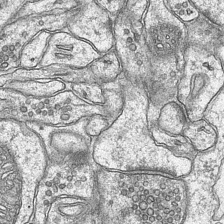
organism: Mouse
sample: CA1 Hippocampus